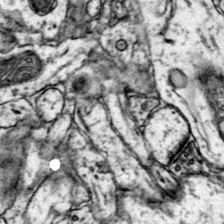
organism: Mouse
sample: Primary visual cortex